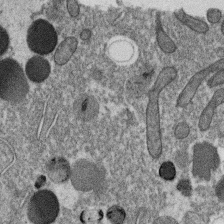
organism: C. elegans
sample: C. elegans oocyte; sperm cells